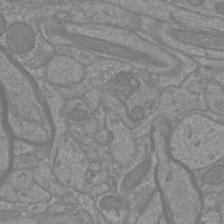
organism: Mouse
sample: Cortical neurons